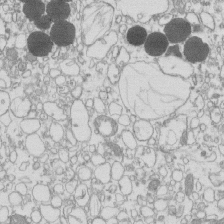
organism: Mouse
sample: Macrophages